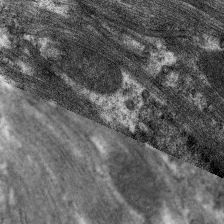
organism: C. elegans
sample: Pharynx